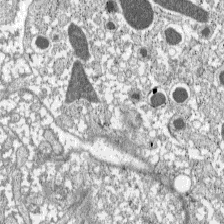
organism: C57BL Mouse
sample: Pancreatic islet